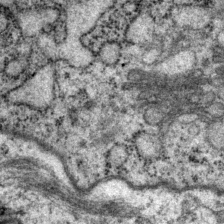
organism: P. pacificus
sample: Pharynx